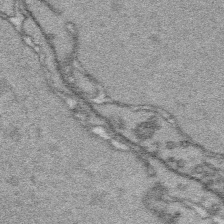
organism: Platynereis dumerilii